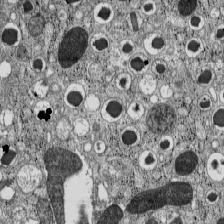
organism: C57BL Mouse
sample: Pancreatic islet